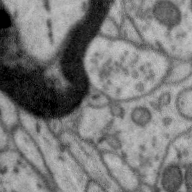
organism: Zebra finch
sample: Brain